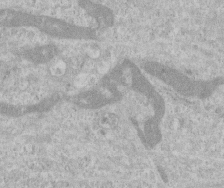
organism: Human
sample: Centriole in RPE cells